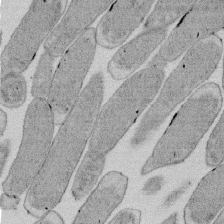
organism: E. coli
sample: Bacterial nucleoid